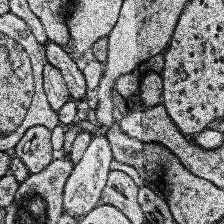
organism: Human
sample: Temporal Lobe